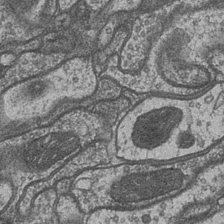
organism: Drosophila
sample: Optic medulla